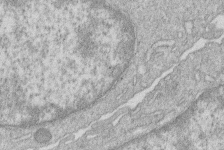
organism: Human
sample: Macrophage cells